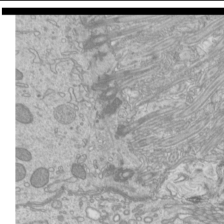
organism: Mouse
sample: Cilia; mouse epididymis